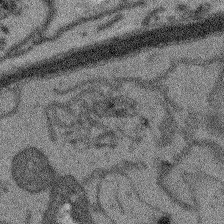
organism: Arabidopsis thaliana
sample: Root tip